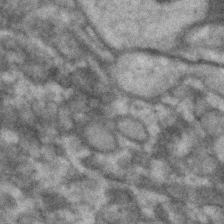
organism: Human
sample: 1205lu cells